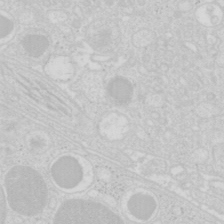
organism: Mouse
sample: Pancreas